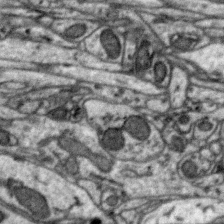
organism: Zebra finch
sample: Brain